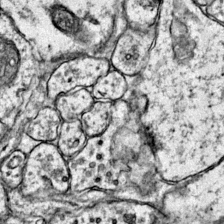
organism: Mouse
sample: Primary visual cortex